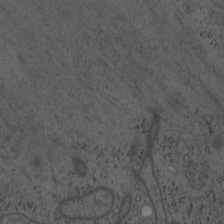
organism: Mouse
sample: OT-I killer T cells with ID8 ovarian cancer cells